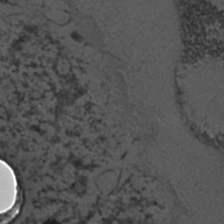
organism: C. elegans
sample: C. elegans embryo